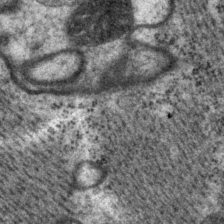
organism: P. pacificus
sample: Pharynx